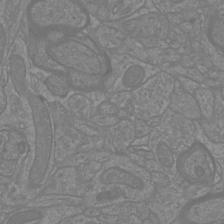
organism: Mouse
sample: Cortical neurons